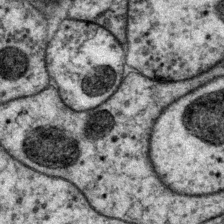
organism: P. pacificus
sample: Pharynx